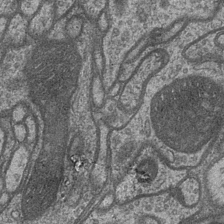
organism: Drosophila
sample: Optic medulla